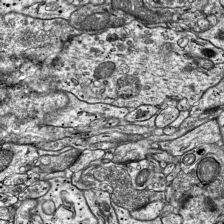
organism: Mouse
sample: Visual Cortex